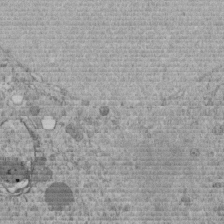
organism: C. elegans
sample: C. elegans embryo early stage